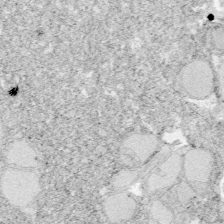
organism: Zebrafish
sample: Whole-Brain